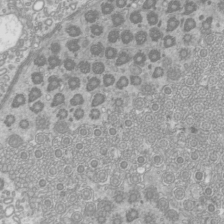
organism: Mouse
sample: Cilia; mouse epididymis